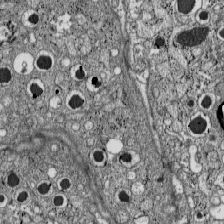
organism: C57BL Mouse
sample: Pancreatic islet